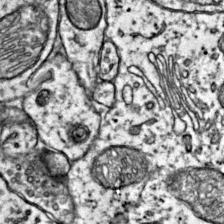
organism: Mouse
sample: Primary visual cortex